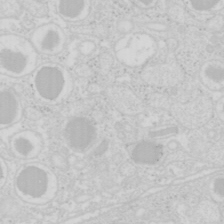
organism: Mouse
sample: Pancreas